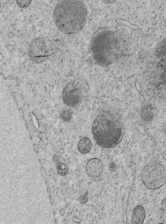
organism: C. elegans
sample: C. elegans embryo early stage